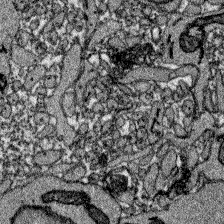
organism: Zebrafish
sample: Larval olfactory bulb